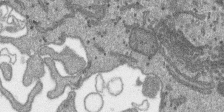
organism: Human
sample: Lung epithelial cells infected with SARS-CoV-2